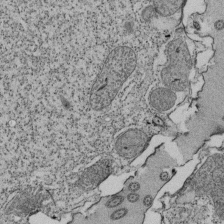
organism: Tetrahymena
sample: Cilia in tetrahymena